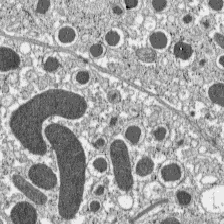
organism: C57BL Mouse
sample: Pancreatic islet